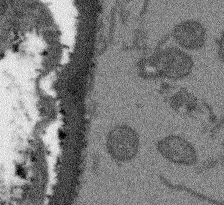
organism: Arabidopsis thaliana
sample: Root tip